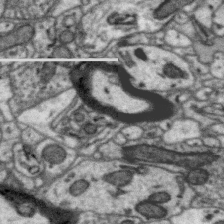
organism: Zebra finch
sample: Brain